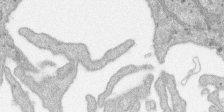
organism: Human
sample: Lung epithelial cells infected with SARS-CoV-2